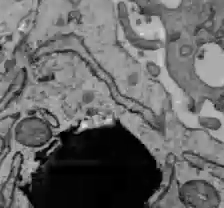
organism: C57BL Mouse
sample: Liver